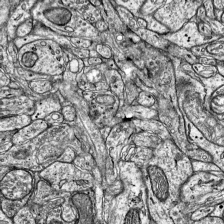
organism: Mouse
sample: Visual Cortex